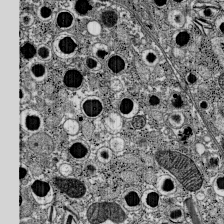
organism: C57BL Mouse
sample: Pancreatic islet